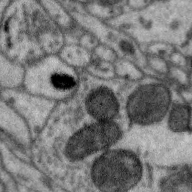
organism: Zebra finch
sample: Brain